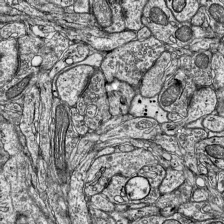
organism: Mouse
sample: Visual Cortex